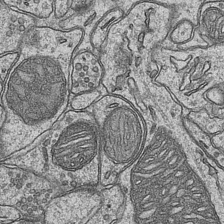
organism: Mouse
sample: CA1 Hippocampus